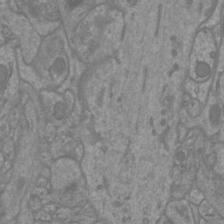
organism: Mouse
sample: Cortical neurons